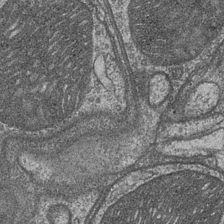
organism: Drosophila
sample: Optic medulla